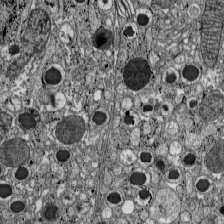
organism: C57BL Mouse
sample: Pancreatic islet